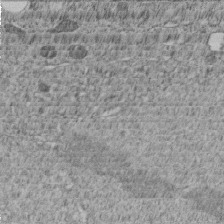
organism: C. elegans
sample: C. elegans embryo early stage